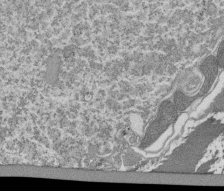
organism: Tetrahymena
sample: Cilia in tetrahymena